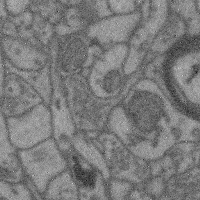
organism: Mouse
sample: Cerebral cortex